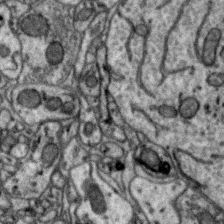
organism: Zebra finch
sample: Brain